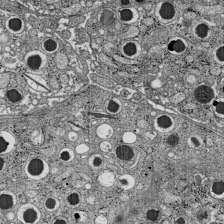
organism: C57BL Mouse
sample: Pancreatic islet